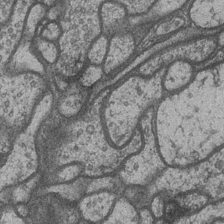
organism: Drosophila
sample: Optic medulla